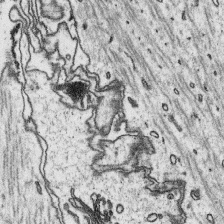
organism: Platynereis dumerilii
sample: Parapodia